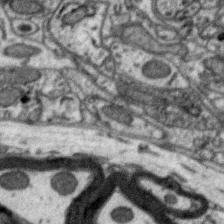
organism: Zebra finch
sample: Brain